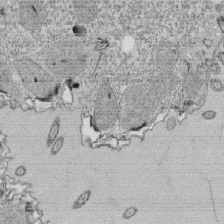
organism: Tetrahymena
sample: Cilia in tetrahymena